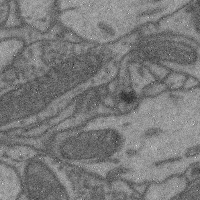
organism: Mouse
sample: Cerebral cortex